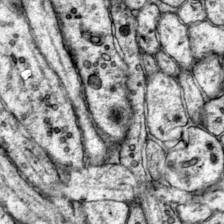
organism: Mouse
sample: Primary visual cortex